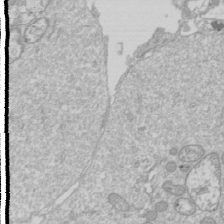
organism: Drosophila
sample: Cell division; meiosis; drosophila spermatocytes